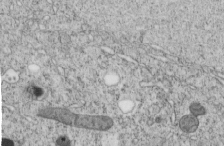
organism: C. elegans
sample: C. elegans embryo early stage